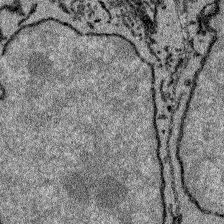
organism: Zebrafish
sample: Larval olfactory bulb